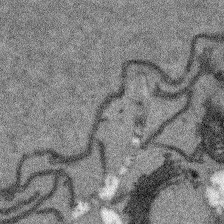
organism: Arabidopsis thaliana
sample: Root tip